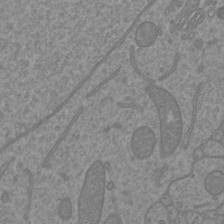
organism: Mouse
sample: Cortical neurons